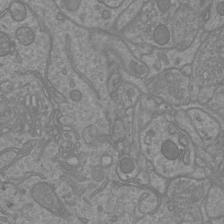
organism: Mouse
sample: Cortical neurons